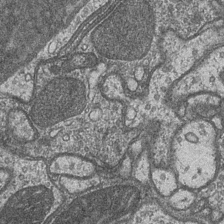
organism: Drosophila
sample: Optic medulla